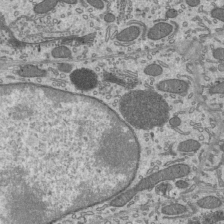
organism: Mouse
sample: Mouse epididymis efferent ductule cilia